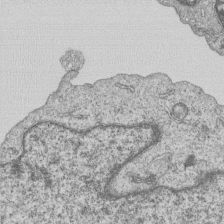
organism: Human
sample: MDA-MB-231 cells